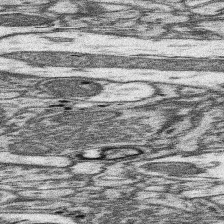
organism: Mouse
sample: Somatosensory cortex neuropil